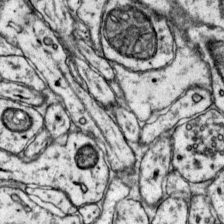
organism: Mouse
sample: Primary visual cortex